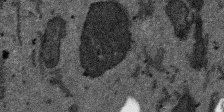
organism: Human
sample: Lung epithelial cells infected with SARS-CoV-2